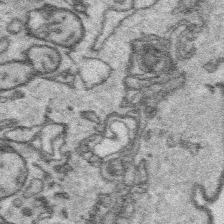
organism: Platynereis dumerilii